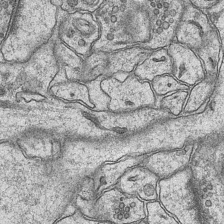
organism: Mouse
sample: CA1 Hippocampus